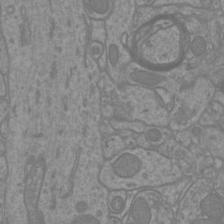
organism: Mouse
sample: Cortical neurons